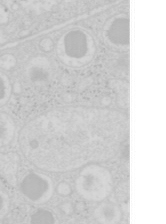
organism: Mouse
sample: Pancreas